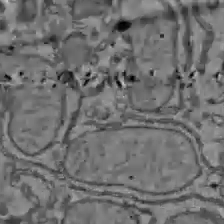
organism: C57BL Mouse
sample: Liver